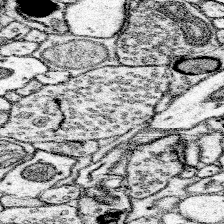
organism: Mouse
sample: Somatosensory cortex neuropil